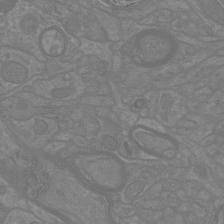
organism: Mouse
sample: Cortical neurons